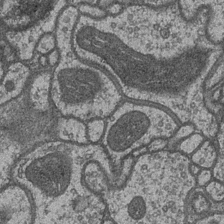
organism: Drosophila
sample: Optic medulla